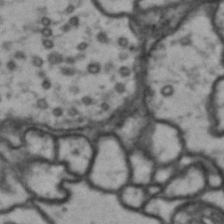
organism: Drosophila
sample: Brain